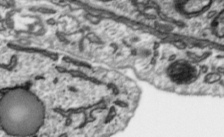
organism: Toxoplasma gondii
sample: Parasites in a vacuole inside a host cell